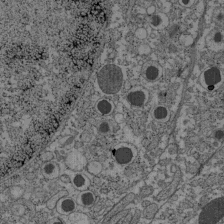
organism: C57BL Mouse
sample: Pancreatic islet